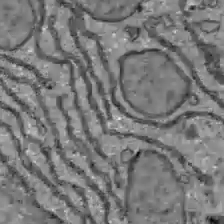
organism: C57BL Mouse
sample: Liver